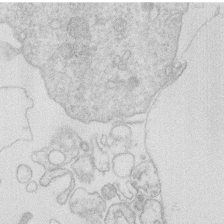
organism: Human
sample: Macrophage cells